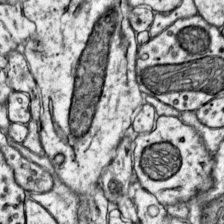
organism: Mouse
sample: Primary visual cortex